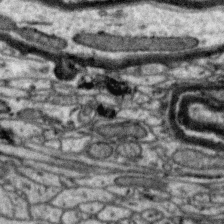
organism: Zebra finch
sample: Brain